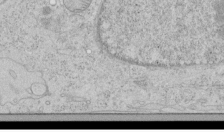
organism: Human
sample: Mitochondria in HCT116 cells